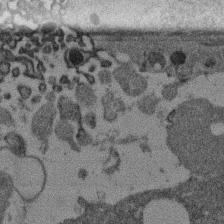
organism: Mouse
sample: Dividing mouse embryo 1 cell stage